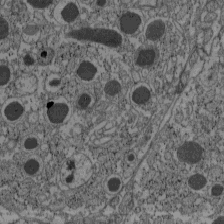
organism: C57BL Mouse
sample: Pancreatic islet